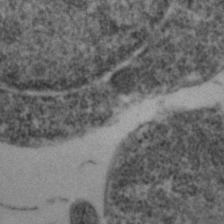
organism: Zebrafish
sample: Zebrafish embryo